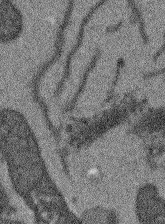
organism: Arabidopsis thaliana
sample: Root tip